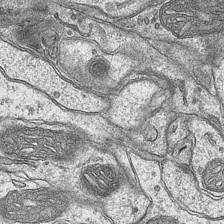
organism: Mouse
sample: CA1 Hippocampus